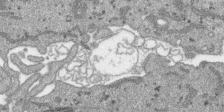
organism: Human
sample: Lung epithelial cells infected with SARS-CoV-2